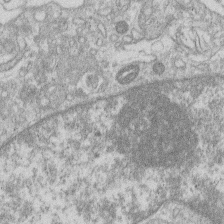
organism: Human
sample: Macrophage cells